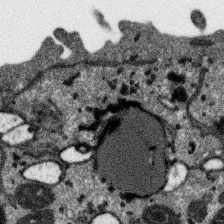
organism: Human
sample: Lung epithelial cells infected with SARS-CoV-2